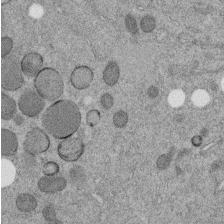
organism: C. elegans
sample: C. elegans embryo early stage